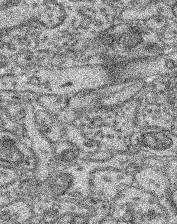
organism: Mouse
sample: Retina